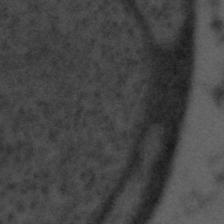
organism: Tuwongella immobilis